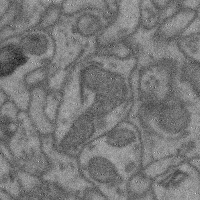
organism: Mouse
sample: Cerebral cortex